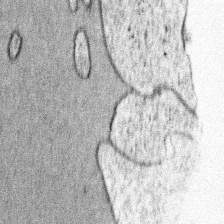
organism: Human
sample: HeLa cells